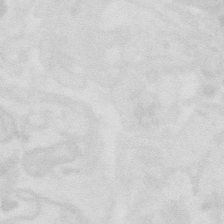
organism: Human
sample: HeLa cells